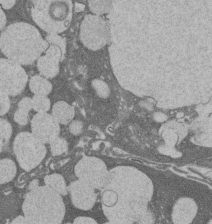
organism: Rat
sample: Salivary granule